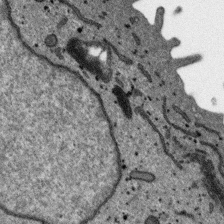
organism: Human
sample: Lung epithelial cells, uninfected (mock) control